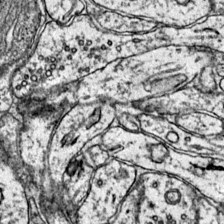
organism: Mouse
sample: Primary visual cortex